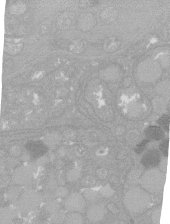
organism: C. elegans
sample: C. elegans oocyte; sperm cells